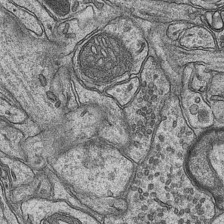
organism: Mouse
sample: CA1 Hippocampus